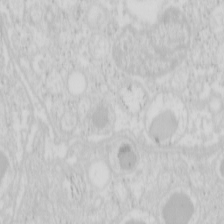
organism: Mouse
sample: Pancreas